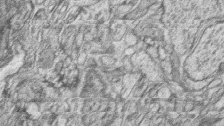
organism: Zebrafish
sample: synaptic ribbons in rod cells and cone cells